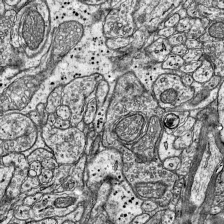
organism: Mouse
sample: Visual Cortex